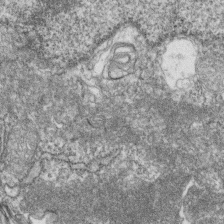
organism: Zebrafish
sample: Cilia; retinal pigment epithelium